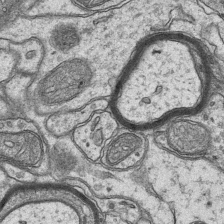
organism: Mouse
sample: CA1 Hippocampus